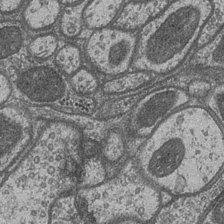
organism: Drosophila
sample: Optic medulla